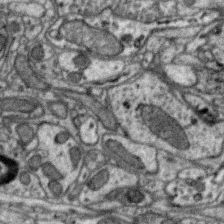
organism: Zebra finch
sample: Brain